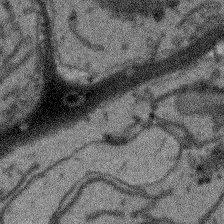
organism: Arabidopsis thaliana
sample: Root tip